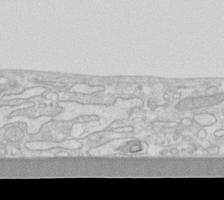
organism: Human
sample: Fibroblast cells